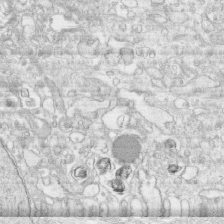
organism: Human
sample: CRL-1474